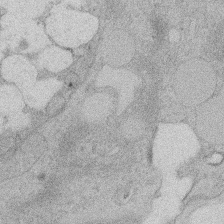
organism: Rat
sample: Salivary granule